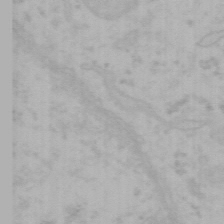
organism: Mouse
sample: Choroid plexus